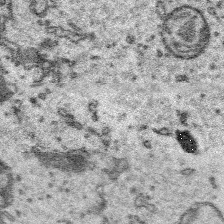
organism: Platynereis dumerilii